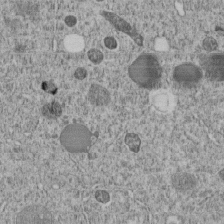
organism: C. elegans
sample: C. elegans embryo early stage